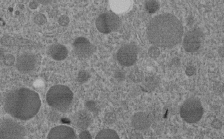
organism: C. elegans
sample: C. elegans embryo early stage